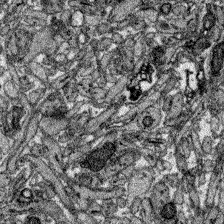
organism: Zebrafish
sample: Larval olfactory bulb